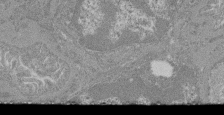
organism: Mouse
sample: Glomerulus